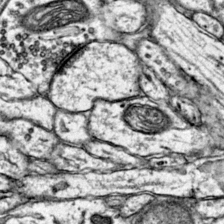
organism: Mouse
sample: Primary visual cortex